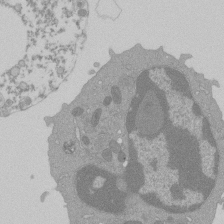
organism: Mouse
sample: Activated Pmel transgenic CD8+ T Cells